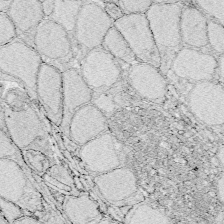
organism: Zebrafish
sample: Whole-Brain